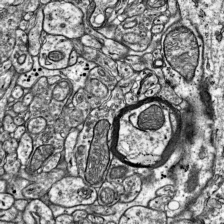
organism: Mouse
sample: Visual Cortex